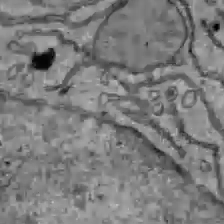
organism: C57BL Mouse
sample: Liver